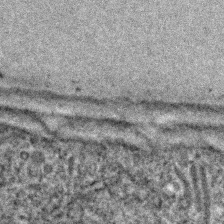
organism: C. elegans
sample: C. elegans embryo